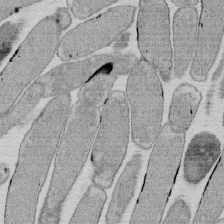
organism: E. coli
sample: Bacterial nucleoid